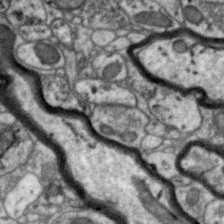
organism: Zebra finch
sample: Brain